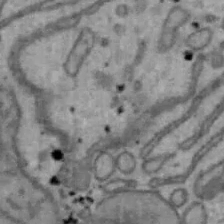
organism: Mouse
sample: Liver